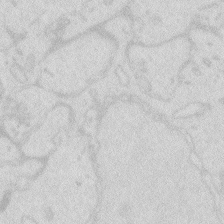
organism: Zebrafish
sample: Macrophage